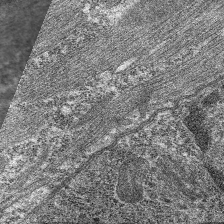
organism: C. elegans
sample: Pharynx